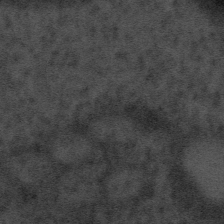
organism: Tuwongella immobilis